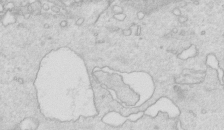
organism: Mouse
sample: Multiciliated cells